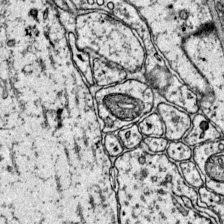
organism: Mouse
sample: Primary visual cortex